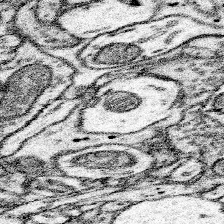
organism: Mouse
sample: Somatosensory cortex neuropil